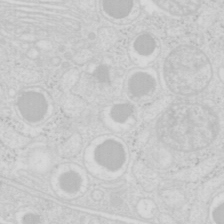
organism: Mouse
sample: Pancreas